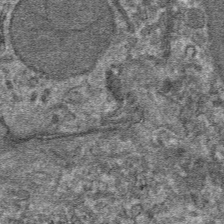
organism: Mouse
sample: Mouse hepatocytes